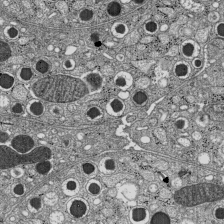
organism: C57BL Mouse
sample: Pancreatic islet